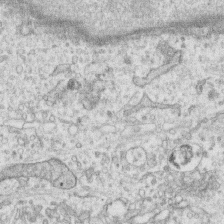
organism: Human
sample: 1205lu cells